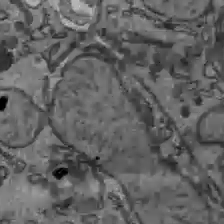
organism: C57BL Mouse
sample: Liver